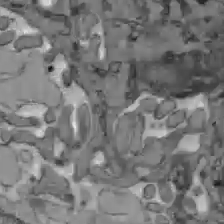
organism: C57BL Mouse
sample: Liver